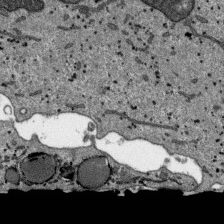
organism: Human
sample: Lung epithelial cells, uninfected (mock) control